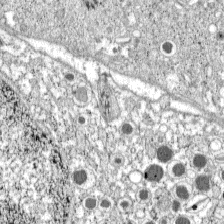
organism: C57BL Mouse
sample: Pancreatic islet